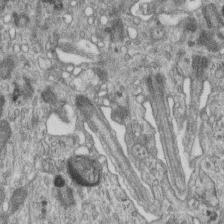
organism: Mouse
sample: Centriole in ependymal cells